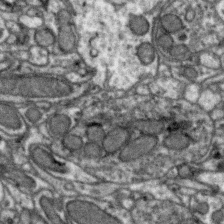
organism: Zebra finch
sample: Brain